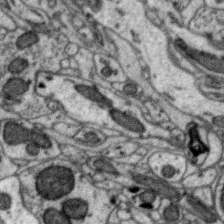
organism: Zebra finch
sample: Brain